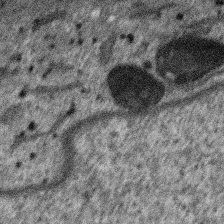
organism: Human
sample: Lung epithelial cells infected with SARS-CoV-2